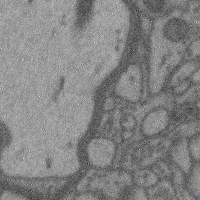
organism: Mouse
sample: Cerebral cortex